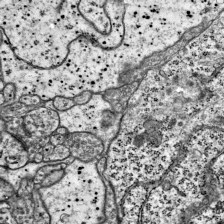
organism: Mouse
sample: Visual Cortex